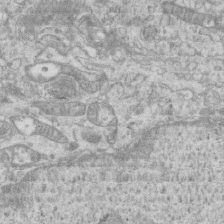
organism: Mouse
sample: Centriole in ependymal cells